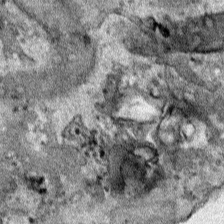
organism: Human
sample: Mitochondria in HCT116 cells